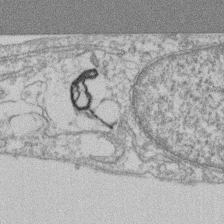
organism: Mouse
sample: T cell stromal cell synapse